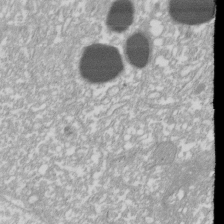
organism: Xenopus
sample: Cilia; centrioles in frog embryo cells